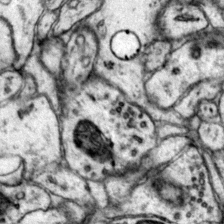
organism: Mouse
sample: Primary visual cortex